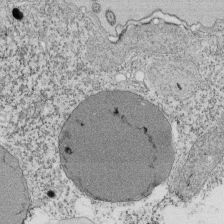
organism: Tetrahymena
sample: Cilia in tetrahymena